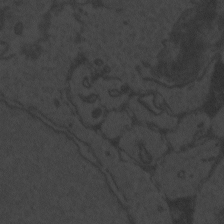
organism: Zebrafish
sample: Macrophage infected with Toxoplasma gondii